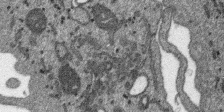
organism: Human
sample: Lung epithelial cells infected with SARS-CoV-2